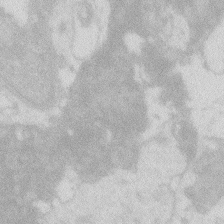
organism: Zebrafish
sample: Macrophage